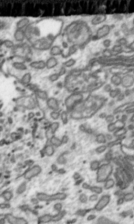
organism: Toxoplasma gondii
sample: Parasites in a vacuole inside a host cell